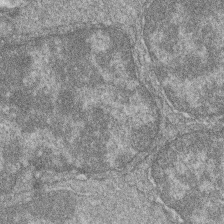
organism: Zebrafish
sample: Cilia; retinal pigment epithelium